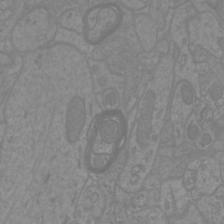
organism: Mouse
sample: Cortical neurons